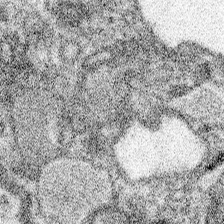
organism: Spongilla lacustris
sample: Neuroid cell